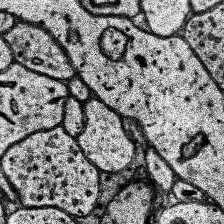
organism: Human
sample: Temporal Lobe